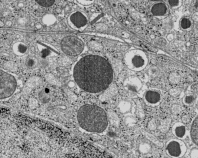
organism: C57BL Mouse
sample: Pancreatic islet